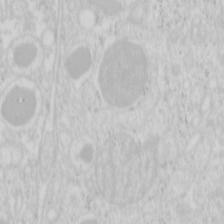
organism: Mouse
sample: Pancreas